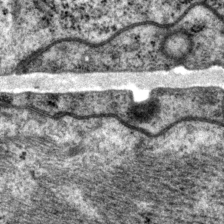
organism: P. pacificus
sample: Pharynx